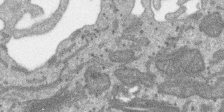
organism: Human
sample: Lung epithelial cells infected with SARS-CoV-2